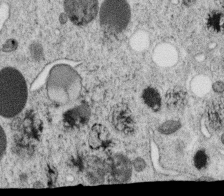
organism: C. elegans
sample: C. elegans oocyte; sperm cells